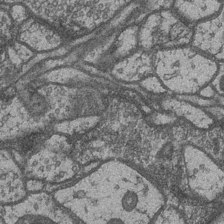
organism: Drosophila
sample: Optic medulla